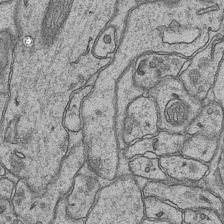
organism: Mouse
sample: CA1 Hippocampus